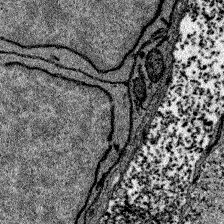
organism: Zebrafish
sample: Larval olfactory bulb